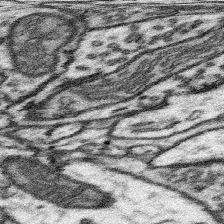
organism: Mouse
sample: Somatosensory cortex neuropil